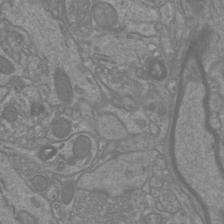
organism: Mouse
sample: Cortical neurons